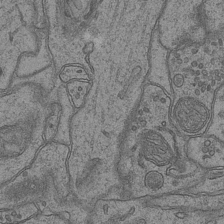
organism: Mouse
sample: CA1 Hippocampus